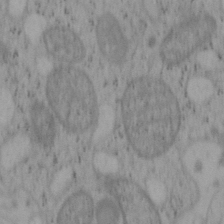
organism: Mouse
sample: OT-I killer T cells with ID8 ovarian cancer cells